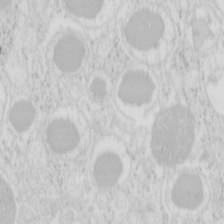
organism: Mouse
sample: Pancreas